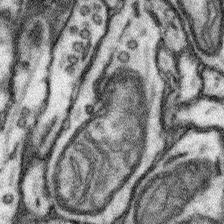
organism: Mouse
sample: Somatosensory cortex neuropil